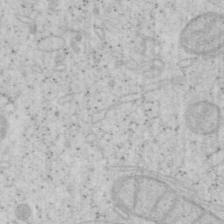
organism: Human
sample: HeLa cells